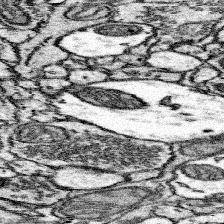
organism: Mouse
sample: Somatosensory cortex neuropil